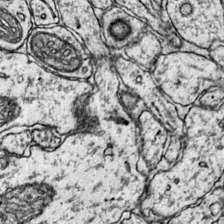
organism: Mouse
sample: Primary visual cortex